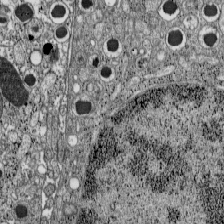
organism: C57BL Mouse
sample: Pancreatic islet